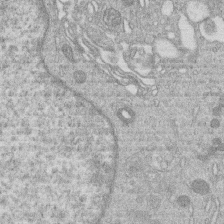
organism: Human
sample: Macrophage cells